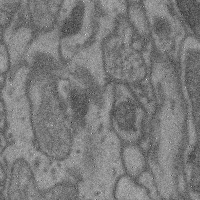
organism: Mouse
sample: Cerebral cortex